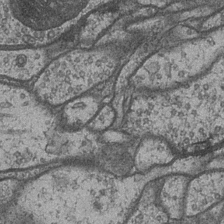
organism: Drosophila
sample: Optic medulla